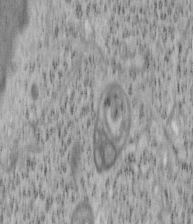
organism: Human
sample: HeLa cells